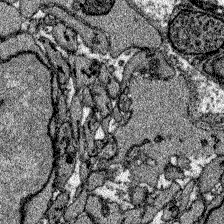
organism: Zebrafish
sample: Larval olfactory bulb